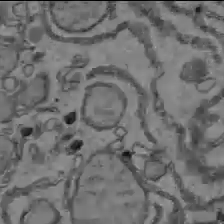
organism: C57BL Mouse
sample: Liver